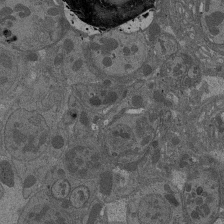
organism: Drosophila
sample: Antenna